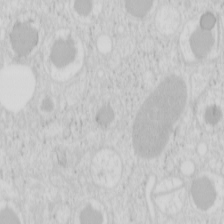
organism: Mouse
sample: Pancreas